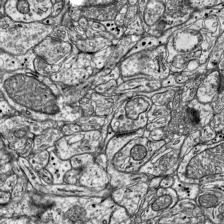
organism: Mouse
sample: Visual Cortex